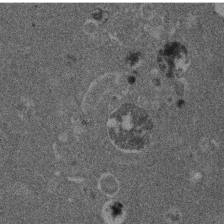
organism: Mouse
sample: Dividing mouse embryo 1 cell stage